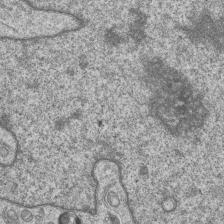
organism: Human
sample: MDA-MB-231 cells